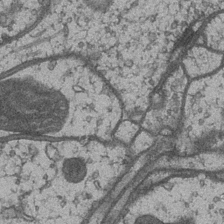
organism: Drosophila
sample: Optic medulla